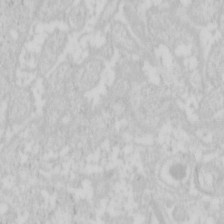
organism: Mouse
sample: Pancreas